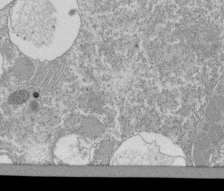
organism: Tetrahymena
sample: Cilia in tetrahymena